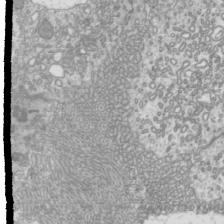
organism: Mouse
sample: Cilia; mouse epididymis